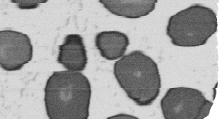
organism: B. subtilis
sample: Bacterial spore